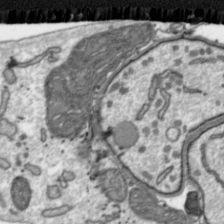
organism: Toxoplasma gondii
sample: Parasites in a vacuole inside a host cell